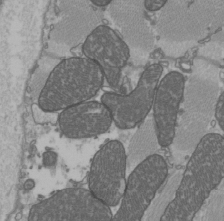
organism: C57BL Mouse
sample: Heart